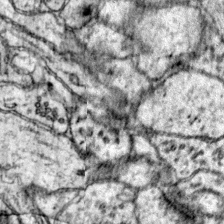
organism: Mouse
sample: Primary visual cortex